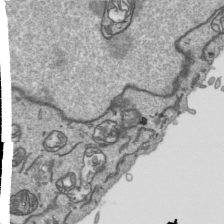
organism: Human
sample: Mitochondria in HCT116 cells